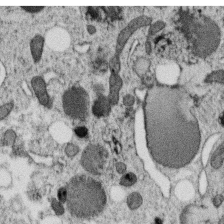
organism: C. elegans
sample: C. elegans oocyte; sperm cells